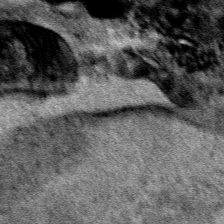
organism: Human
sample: Mitochondria in HCT116 cells